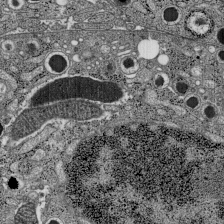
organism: C57BL Mouse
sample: Pancreatic islet